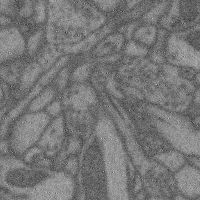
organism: Mouse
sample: Cerebral cortex